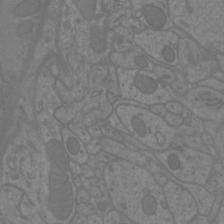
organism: Mouse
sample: Cortical neurons